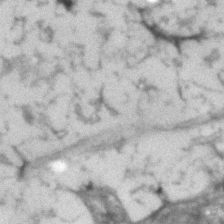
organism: Human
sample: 1205lu cells